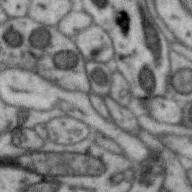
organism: Zebra finch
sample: Brain